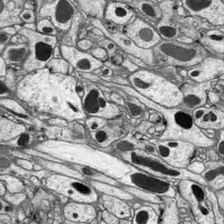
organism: Drosophila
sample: Optic lobe